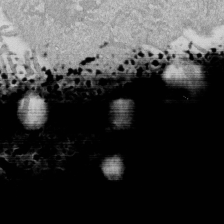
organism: Mouse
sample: ED-1 cell nuclei; centrioles